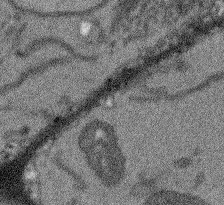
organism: Arabidopsis thaliana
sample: Root tip